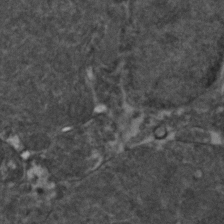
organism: Zebrafish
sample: Zebrafish embryo